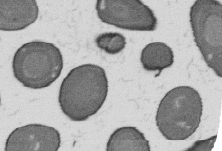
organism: B. subtilis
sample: Bacterial spore